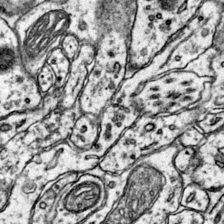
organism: Mouse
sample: Primary visual cortex